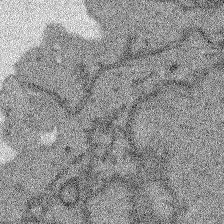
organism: Human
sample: HeLa cells